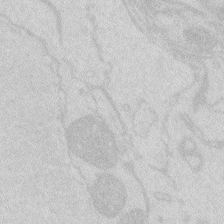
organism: Zebrafish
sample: Macrophage